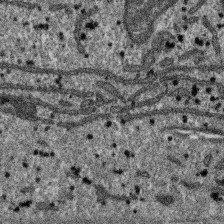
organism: Human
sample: Lung epithelial cells infected with SARS-CoV-2